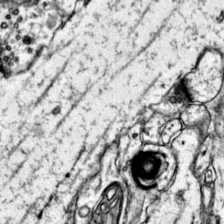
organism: Mouse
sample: Primary visual cortex